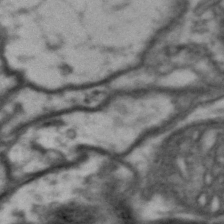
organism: Drosophila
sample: Brain